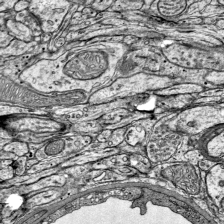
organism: Mouse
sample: Visual Cortex